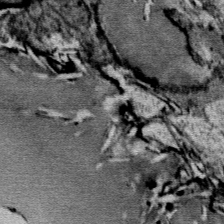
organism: Mouse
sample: Mouse Salivary gland